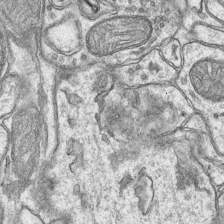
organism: Mouse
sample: CA1 Hippocampus